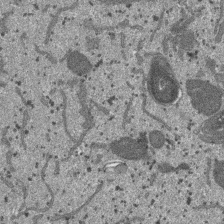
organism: Human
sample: Lung epithelial cells infected with SARS-CoV-2